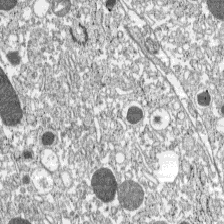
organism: C57BL Mouse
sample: Pancreatic islet